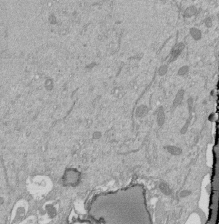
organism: Mouse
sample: ED-1 cell nuclei; centrioles